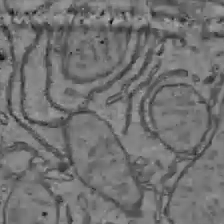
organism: C57BL Mouse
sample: Liver